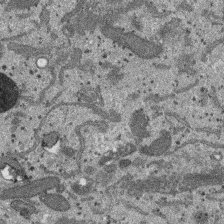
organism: Human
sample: Lung epithelial cells infected with SARS-CoV-2